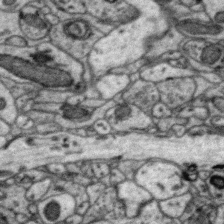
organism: Zebra finch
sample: Brain